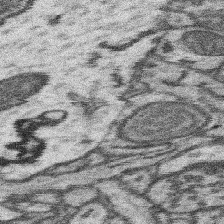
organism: Mouse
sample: Somatosensory cortex neuropil